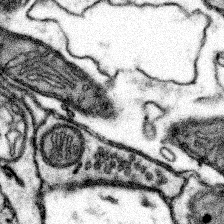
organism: Mouse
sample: Somatosensory cortex neuropil